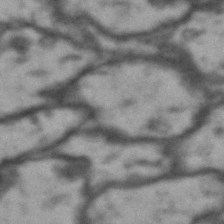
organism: Drosophila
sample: Brain